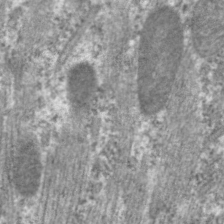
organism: C. elegans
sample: Pharynx